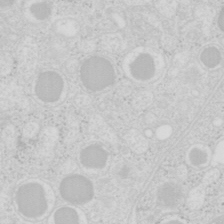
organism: Mouse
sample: Pancreas